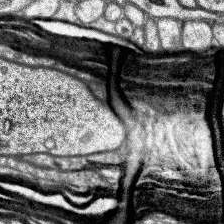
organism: Human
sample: Temporal Lobe